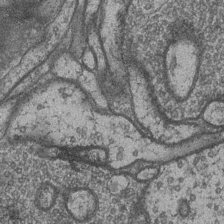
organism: Drosophila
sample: Optic medulla